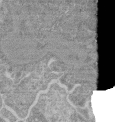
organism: Mouse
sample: Glomerulus